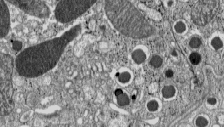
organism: C57BL Mouse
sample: Pancreatic islet